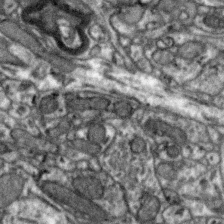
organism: Zebra finch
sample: Brain